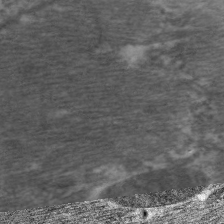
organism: C. elegans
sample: Pharynx